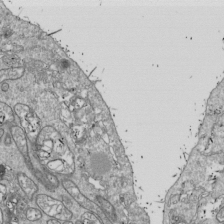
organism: Drosophila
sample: Cell division; meiosis; drosophila spermatocytes